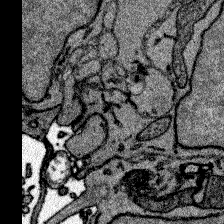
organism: Zebrafish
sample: Larval olfactory bulb